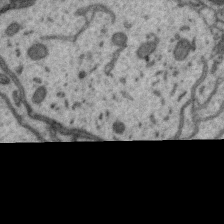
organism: Zebra finch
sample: Brain